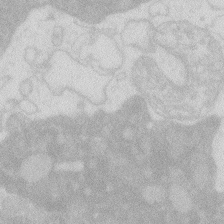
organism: Zebrafish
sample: Macrophage